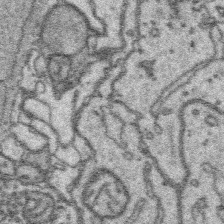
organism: Platynereis dumerilii